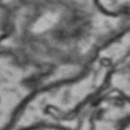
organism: Drosophila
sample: Brain